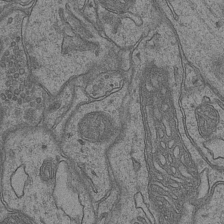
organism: Mouse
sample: CA1 Hippocampus